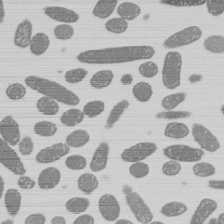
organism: E. coli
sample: Bacterial nucleoid